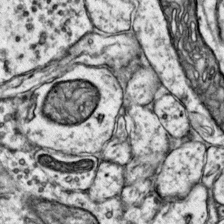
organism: Mouse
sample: Primary visual cortex